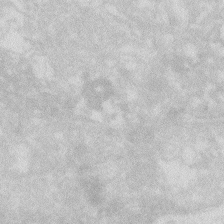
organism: Zebrafish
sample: Macrophage